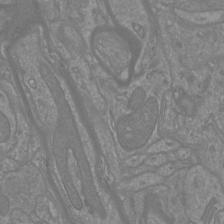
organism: Mouse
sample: Cortical neurons